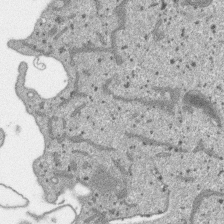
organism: Human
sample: Lung epithelial cells infected with SARS-CoV-2